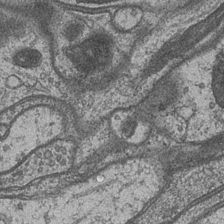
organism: Drosophila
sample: Optic medulla